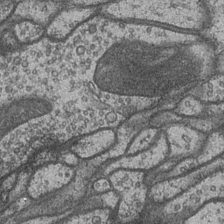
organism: Drosophila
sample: Optic medulla